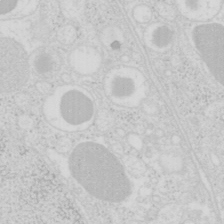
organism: Mouse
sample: Pancreas